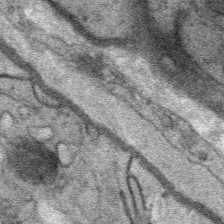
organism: Mouse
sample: Mouse Salivary gland